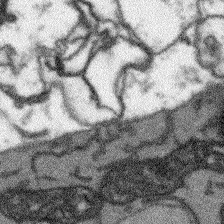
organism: Arabidopsis thaliana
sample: Root tip